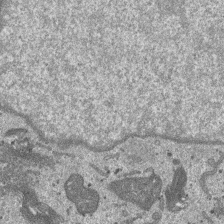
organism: Human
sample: Lung epithelial cells infected with SARS-CoV-2